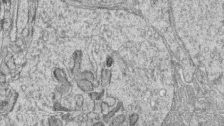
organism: Zebrafish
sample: synaptic ribbons in rod cells and cone cells